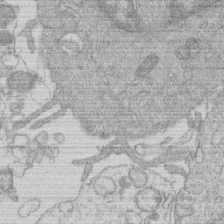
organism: Human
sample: Macrophage cells